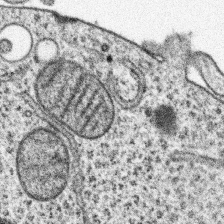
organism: Human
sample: HeLa cells